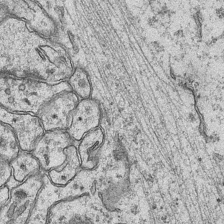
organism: Mouse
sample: CA1 Hippocampus